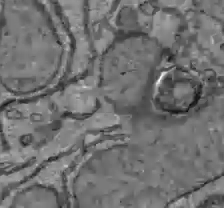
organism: C57BL Mouse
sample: Liver